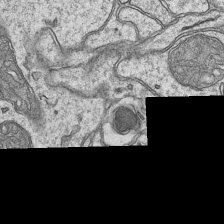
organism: Mouse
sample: CA1 Hippocampus